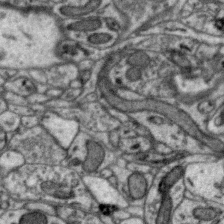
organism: Zebra finch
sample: Brain